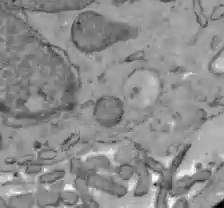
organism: C57BL Mouse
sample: Liver